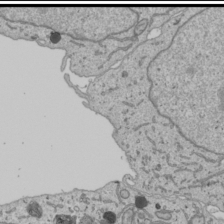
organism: Human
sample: Mitochondria in U2OS cells